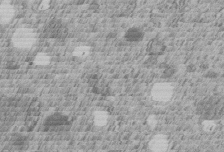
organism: C. elegans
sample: C. elegans embryo early stage